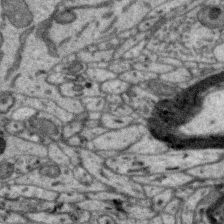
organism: Zebra finch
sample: Brain